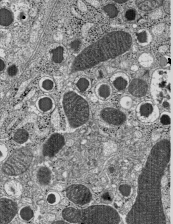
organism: C57BL Mouse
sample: Pancreatic islet